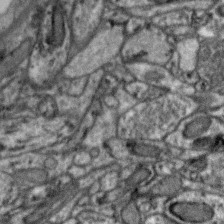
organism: Zebra finch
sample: Brain